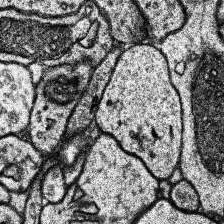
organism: Human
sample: Temporal Lobe